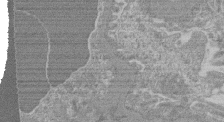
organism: Mouse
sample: Glomerulus